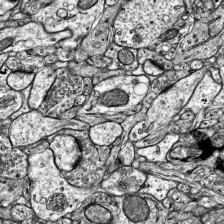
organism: Mouse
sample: Visual Cortex